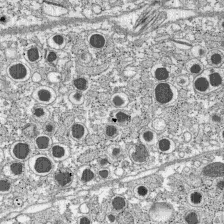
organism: C57BL Mouse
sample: Pancreatic islet